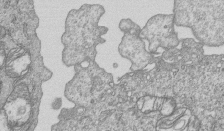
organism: Human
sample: MDA-MB-231 cells